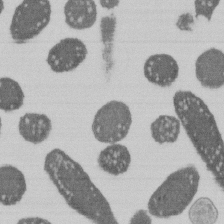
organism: E. coli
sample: Bacterial nucleoid